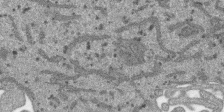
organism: Human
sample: Lung epithelial cells infected with SARS-CoV-2